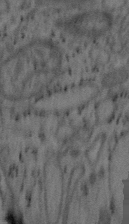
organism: Human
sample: HeLa cells